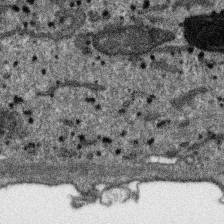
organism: Human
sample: Lung epithelial cells infected with SARS-CoV-2